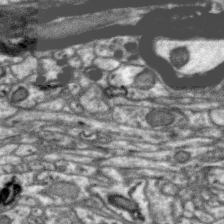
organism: Zebra finch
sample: Brain